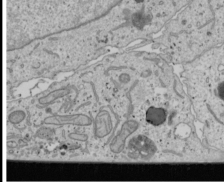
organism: Human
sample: Mitochondria in U2OS cells